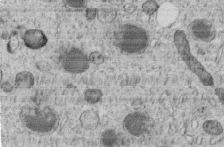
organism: C. elegans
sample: C. elegans embryo early stage